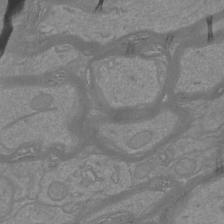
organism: Mouse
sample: Cortical neurons